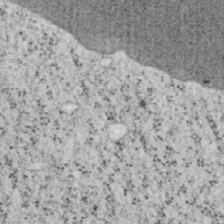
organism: Mouse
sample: OT-I killer T cells with ID8 ovarian cancer cells